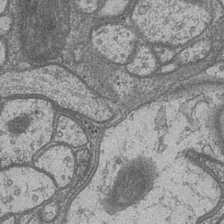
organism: Drosophila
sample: Optic medulla